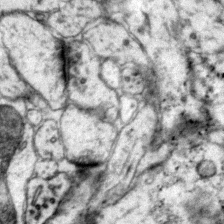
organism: Mouse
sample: Primary visual cortex